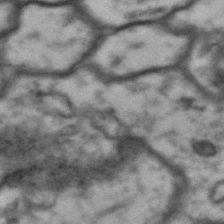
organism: Drosophila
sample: Brain